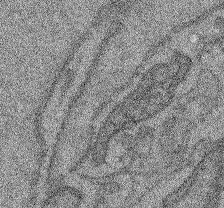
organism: Human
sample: HeLa cells